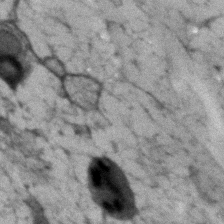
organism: Human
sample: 1205lu cells